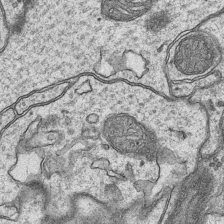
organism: Mouse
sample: CA1 Hippocampus